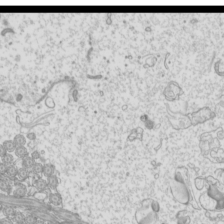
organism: Mouse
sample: Cilia; mouse epididymis